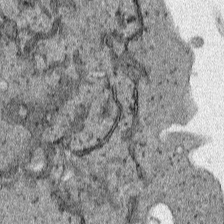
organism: Human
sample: Mitochondria in HCT116 cells